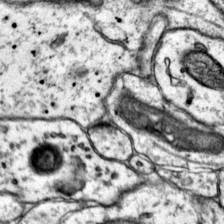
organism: Mouse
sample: Primary visual cortex